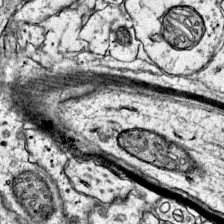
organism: Mouse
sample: Primary visual cortex